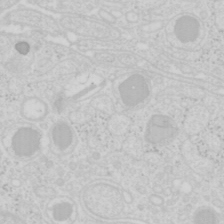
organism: Mouse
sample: Pancreas